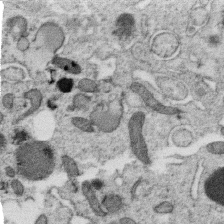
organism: C. elegans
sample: C. elegans oocyte; sperm cells